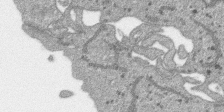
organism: Human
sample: Lung epithelial cells infected with SARS-CoV-2